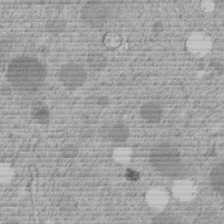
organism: C. elegans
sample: C. elegans embryo early stage